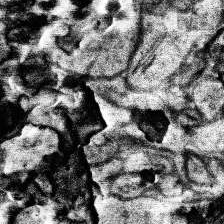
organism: Human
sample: Temporal Lobe